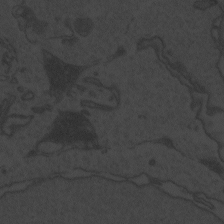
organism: Zebrafish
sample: Macrophage infected with Toxoplasma gondii